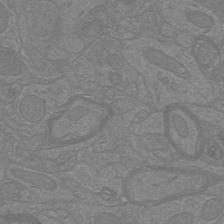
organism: Mouse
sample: Cortical neurons